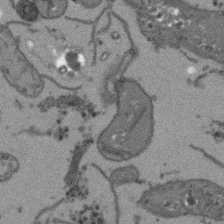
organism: Arabidopsis thaliana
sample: Root tip